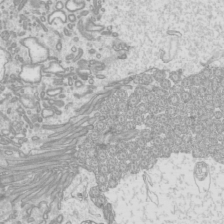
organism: Mouse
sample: Cilia; mouse epididymis